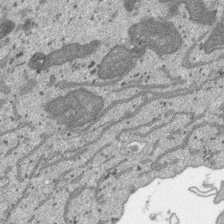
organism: Human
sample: Lung epithelial cells infected with SARS-CoV-2